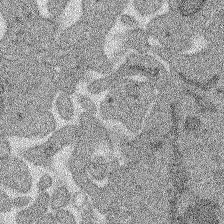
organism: Human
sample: HeLa cells